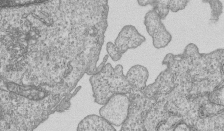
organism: Human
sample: MDA-MB-231 cells